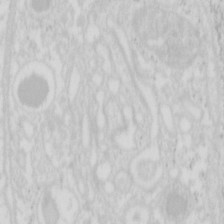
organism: Mouse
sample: Pancreas